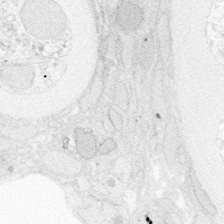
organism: Zebrafish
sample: Whole-Brain